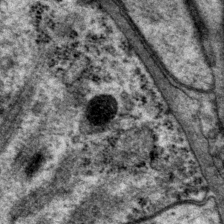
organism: P. pacificus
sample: Pharynx